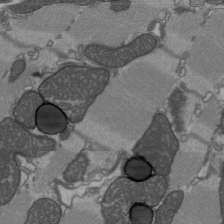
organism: C57BL Mouse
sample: Heart